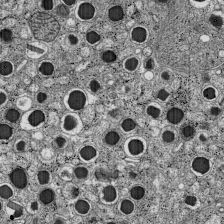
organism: C57BL Mouse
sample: Pancreatic islet